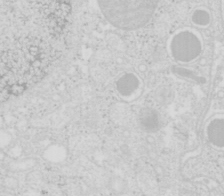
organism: Mouse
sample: Pancreas